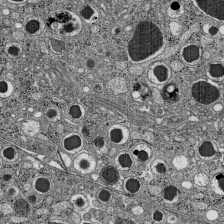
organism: C57BL Mouse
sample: Pancreatic islet